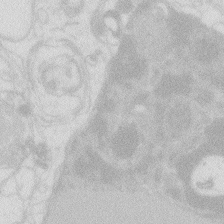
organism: Zebrafish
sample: Macrophage